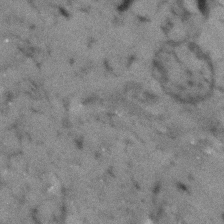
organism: Human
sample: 1205lu cells